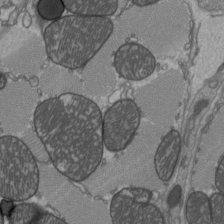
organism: C57BL Mouse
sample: Heart